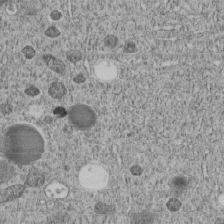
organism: C. elegans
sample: C. elegans embryo early stage